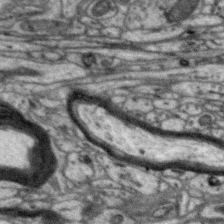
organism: Zebra finch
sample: Brain